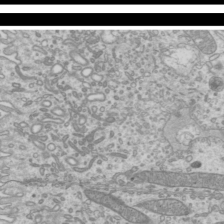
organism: Mouse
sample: Cilia; mouse epididymis